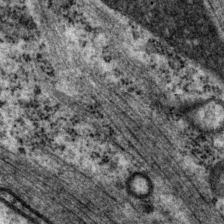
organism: P. pacificus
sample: Pharynx